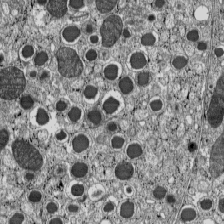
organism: C57BL Mouse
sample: Pancreatic islet